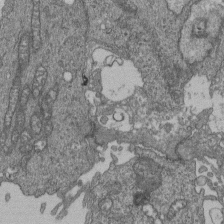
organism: Human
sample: Retinal organoid Rod and Cone cells